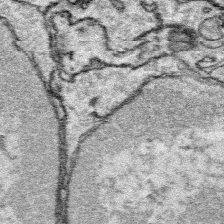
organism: Platynereis dumerilii